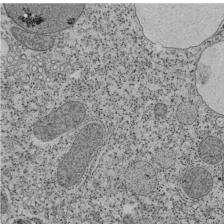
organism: Tetrahymena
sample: Cilia in tetrahymena